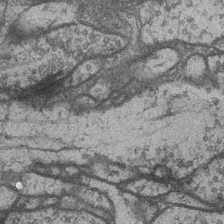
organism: Drosophila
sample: Optic medulla